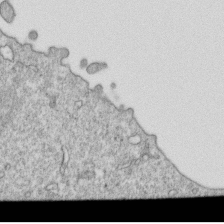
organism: Mouse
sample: Activated OT-1 CD8+ T cells